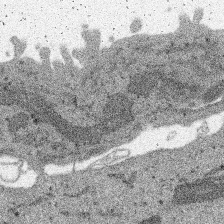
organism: Human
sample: Lung epithelial cells infected with SARS-CoV-2